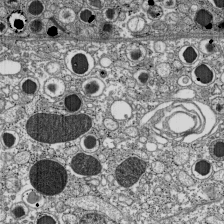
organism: C57BL Mouse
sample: Pancreatic islet